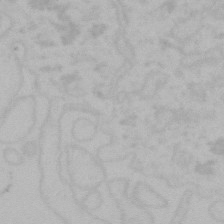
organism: Mouse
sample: Choroid plexus